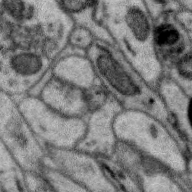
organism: Zebra finch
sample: Brain